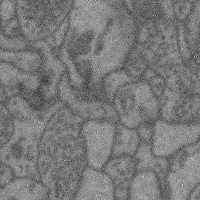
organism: Mouse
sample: Cerebral cortex